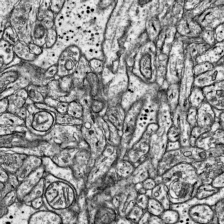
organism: Mouse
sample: Visual Cortex